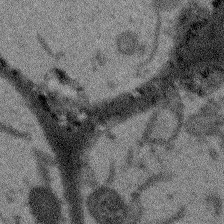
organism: Arabidopsis thaliana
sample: Root tip